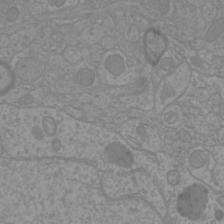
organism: Mouse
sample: Cortical neurons